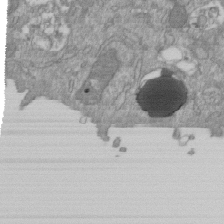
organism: Mouse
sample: ED-1 cell nuclei; centrioles